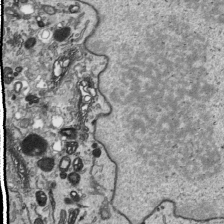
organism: Human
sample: Mitochondria in HCT116 cells